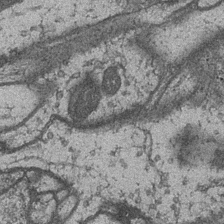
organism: Drosophila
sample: Optic medulla